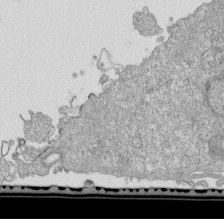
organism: Human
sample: HeLa cell HIV synapse